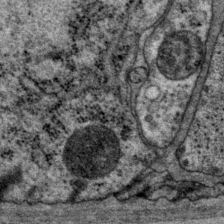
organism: P. pacificus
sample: Pharynx